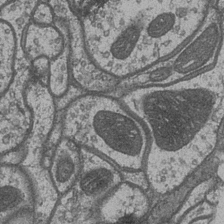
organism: Drosophila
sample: Optic medulla